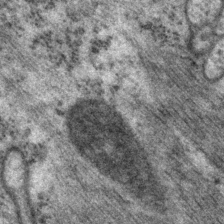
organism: P. pacificus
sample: Pharynx